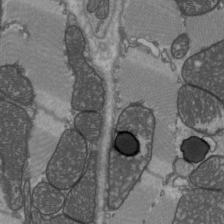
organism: C57BL Mouse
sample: Heart